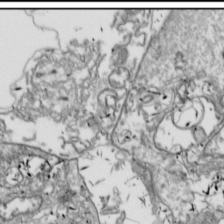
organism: Drosophila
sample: Cell division; meiosis; drosophila spermatocytes